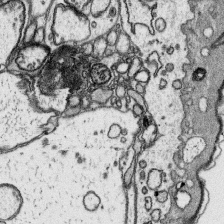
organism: Platynereis dumerilii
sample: Parapodia